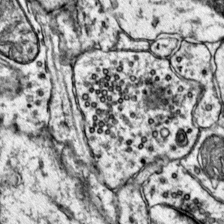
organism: Mouse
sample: Primary visual cortex